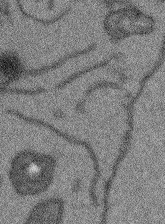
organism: Arabidopsis thaliana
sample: Root tip